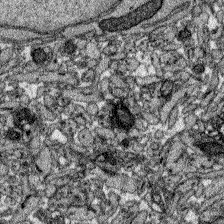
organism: Zebrafish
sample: Larval olfactory bulb